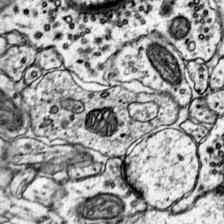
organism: Mouse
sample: Primary visual cortex